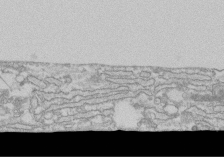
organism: Human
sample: CRL-1474